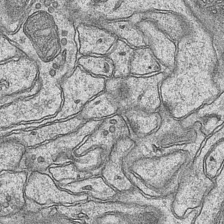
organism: Mouse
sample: CA1 Hippocampus